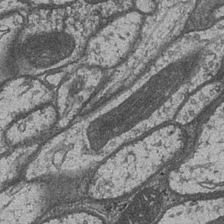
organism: Drosophila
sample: Optic medulla